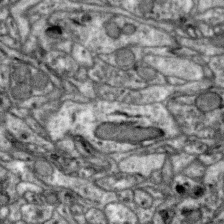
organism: Zebra finch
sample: Brain